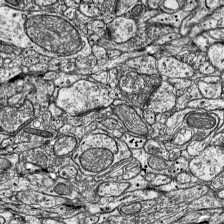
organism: Mouse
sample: Visual Cortex